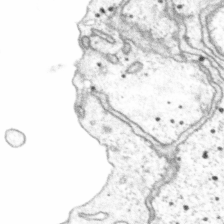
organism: Human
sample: HeLa cells